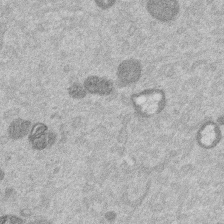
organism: Mouse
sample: Dividing mouse embryo 1 cell stage